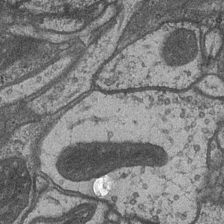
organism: Drosophila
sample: Optic medulla